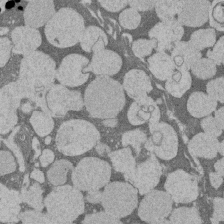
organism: Rat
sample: Salivary granule